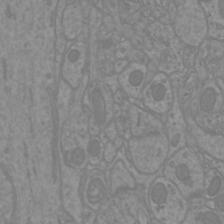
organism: Mouse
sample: Cortical neurons